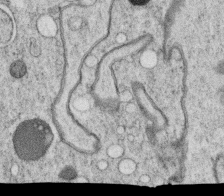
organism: C. elegans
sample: C. elegans oocyte; sperm cells